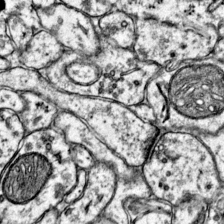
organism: Mouse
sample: Primary visual cortex